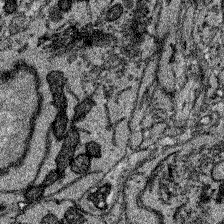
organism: Zebrafish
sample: Larval olfactory bulb